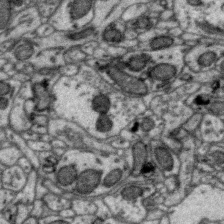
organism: Zebra finch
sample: Brain